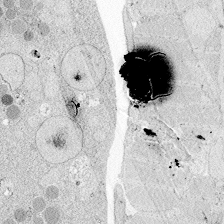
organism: Zebrafish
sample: Whole-Brain